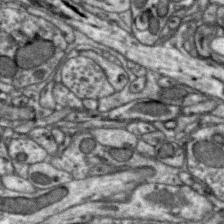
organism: Zebra finch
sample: Brain